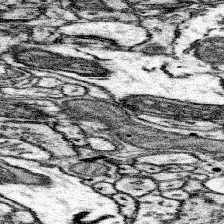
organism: Mouse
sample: Somatosensory cortex neuropil